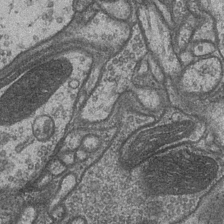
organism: Drosophila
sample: Optic medulla